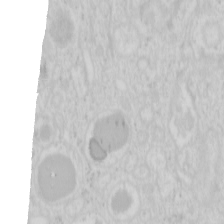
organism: Mouse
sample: Pancreas